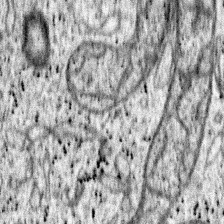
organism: Human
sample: HeLa cells